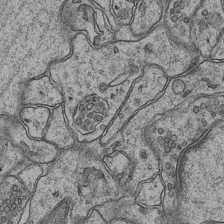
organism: Mouse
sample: CA1 Hippocampus